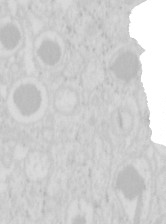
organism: Mouse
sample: Pancreas